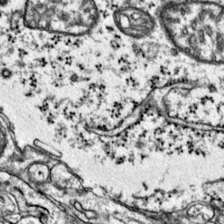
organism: Mouse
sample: Primary visual cortex